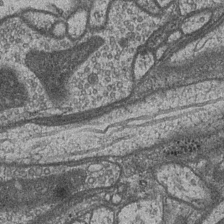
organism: Drosophila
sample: Optic medulla